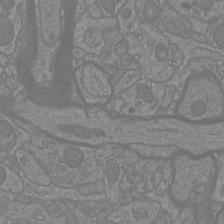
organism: Mouse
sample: Cortical neurons